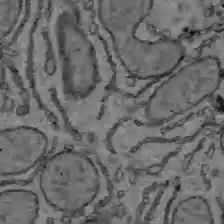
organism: C57BL Mouse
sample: Liver